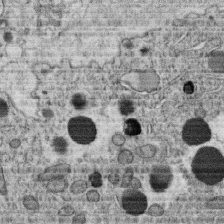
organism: C. elegans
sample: C. elegans oocyte; sperm cells